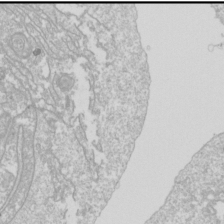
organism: Drosophila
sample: Cell division; meiosis; drosophila spermatocytes